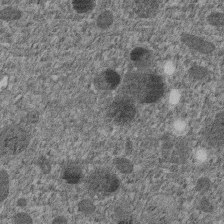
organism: C. elegans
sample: C. elegans embryo early stage